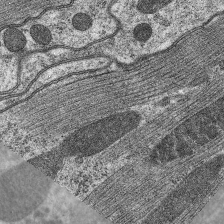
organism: C. elegans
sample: Pharynx